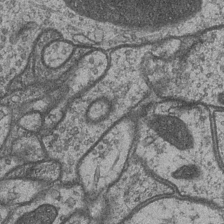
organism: Drosophila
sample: Optic medulla